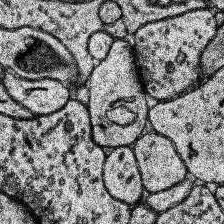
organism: Human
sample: Temporal Lobe